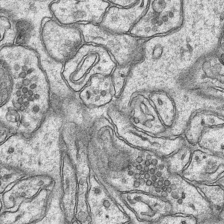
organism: Mouse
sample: CA1 Hippocampus